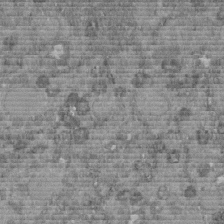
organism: C. elegans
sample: C. elegans embryo early stage